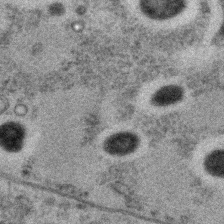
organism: C. elegans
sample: C. elegans embryo